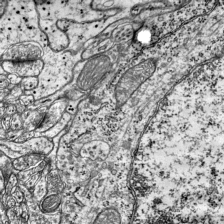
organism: Mouse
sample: Visual Cortex